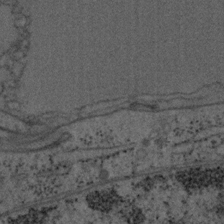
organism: Human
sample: HeLa cells